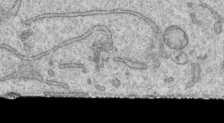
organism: Human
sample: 1205lu cells